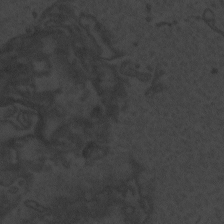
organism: Zebrafish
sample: Macrophage infected with Toxoplasma gondii